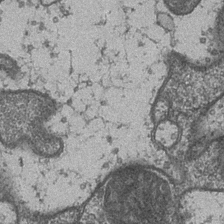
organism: Drosophila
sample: Optic medulla